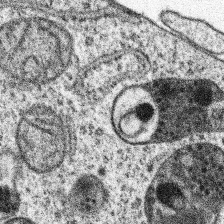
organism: Human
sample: HeLa cells